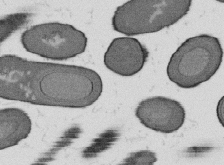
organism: B. subtilis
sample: Bacterial spore